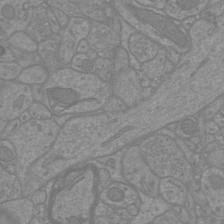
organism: Mouse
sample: Cortical neurons